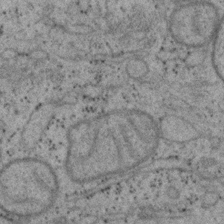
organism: Human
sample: HeLa cells